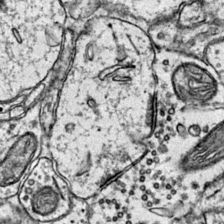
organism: Mouse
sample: Primary visual cortex